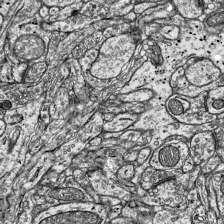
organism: Mouse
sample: Visual Cortex